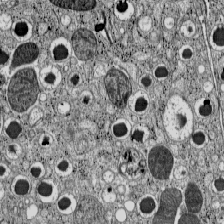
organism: C57BL Mouse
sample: Pancreatic islet